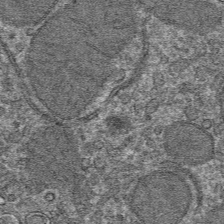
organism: Mouse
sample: Mouse hepatocytes